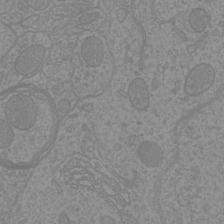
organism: Mouse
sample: Cortical neurons